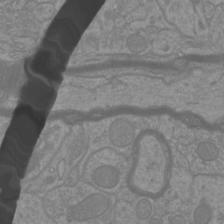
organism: Mouse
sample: Cortical neurons